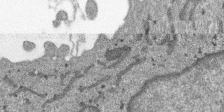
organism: Human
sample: Lung epithelial cells infected with SARS-CoV-2